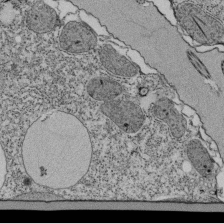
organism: Tetrahymena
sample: Cilia in tetrahymena